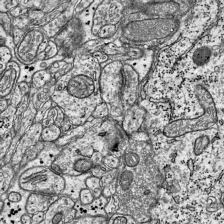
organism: Mouse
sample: Visual Cortex